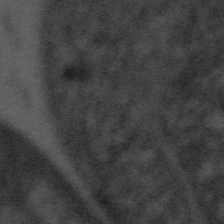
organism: Tuwongella immobilis